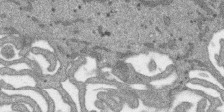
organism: Human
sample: Lung epithelial cells infected with SARS-CoV-2